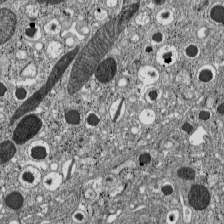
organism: C57BL Mouse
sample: Pancreatic islet